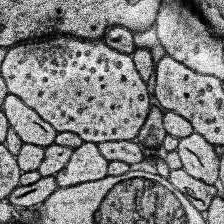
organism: Human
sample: Temporal Lobe